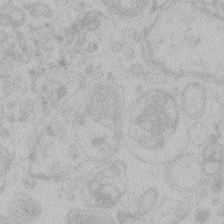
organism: Zebrafish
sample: Macrophage infected with Toxoplasma gondii